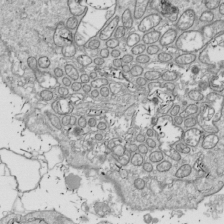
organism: Drosophila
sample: Cell division; meiosis; drosophila spermatocytes